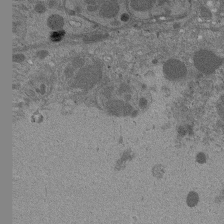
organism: Drosophila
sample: Antenna